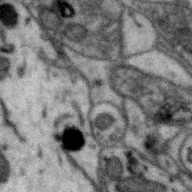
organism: Zebra finch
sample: Brain